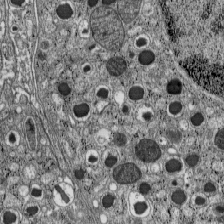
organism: C57BL Mouse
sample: Pancreatic islet